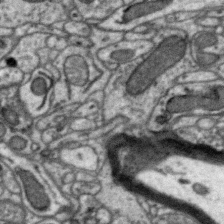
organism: Zebra finch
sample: Brain